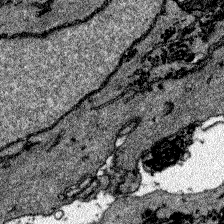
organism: Zebrafish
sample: Larval olfactory bulb